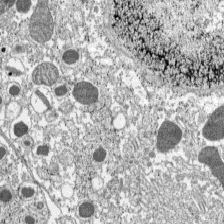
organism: C57BL Mouse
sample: Pancreatic islet